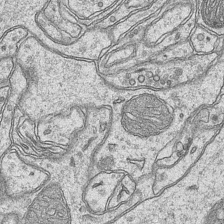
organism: Mouse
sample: CA1 Hippocampus